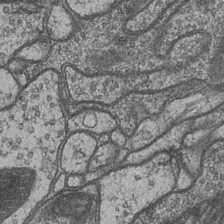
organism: Drosophila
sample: Optic medulla